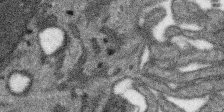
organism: Human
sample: Lung epithelial cells infected with SARS-CoV-2